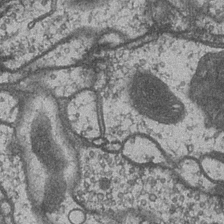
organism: Drosophila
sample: Optic medulla